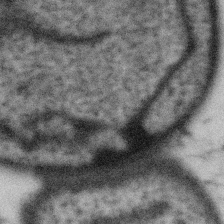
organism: Gemmata obscuriglobus